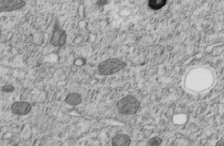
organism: C. elegans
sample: C. elegans embryo early stage